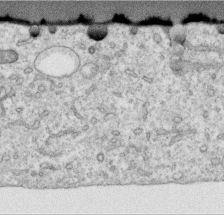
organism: Human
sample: Centriole in RPE cells